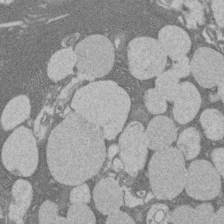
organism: Rat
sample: Salivary granule